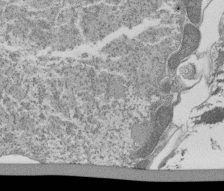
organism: Tetrahymena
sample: Cilia in tetrahymena